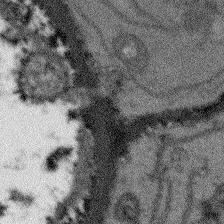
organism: Arabidopsis thaliana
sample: Root tip